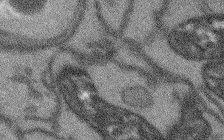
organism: Arabidopsis thaliana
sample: Root tip